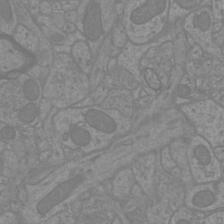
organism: Mouse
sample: Cortical neurons